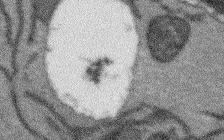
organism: Arabidopsis thaliana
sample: Root tip